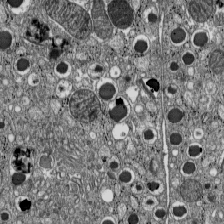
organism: C57BL Mouse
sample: Pancreatic islet